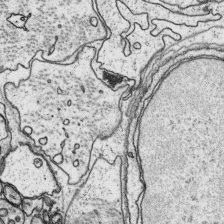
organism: Platynereis dumerilii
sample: Parapodia